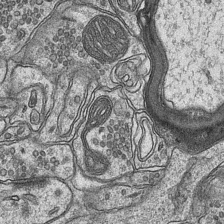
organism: Mouse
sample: CA1 Hippocampus